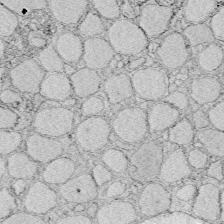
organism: Zebrafish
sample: Whole-Brain